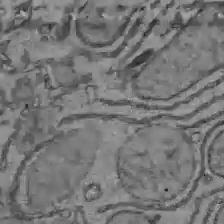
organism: C57BL Mouse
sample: Liver